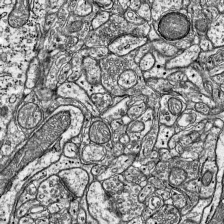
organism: Mouse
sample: Visual Cortex